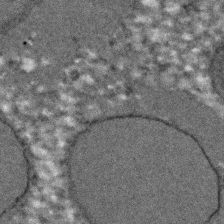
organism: C. elegans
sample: C. elegans embryo